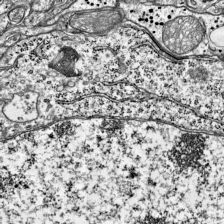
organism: Mouse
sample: Visual Cortex